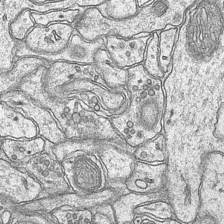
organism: Mouse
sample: CA1 Hippocampus